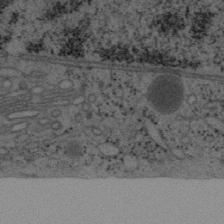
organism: Human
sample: HeLa cells